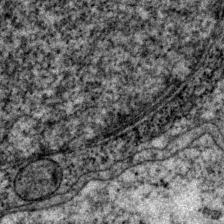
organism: P. pacificus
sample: Pharynx